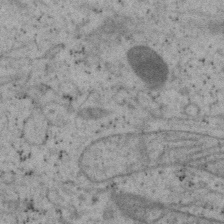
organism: Human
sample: HeLa cells